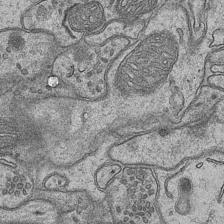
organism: Mouse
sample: CA1 Hippocampus